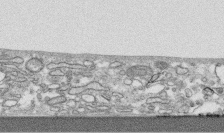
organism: Human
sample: CRL-1474